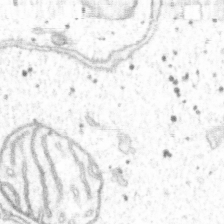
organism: Human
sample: HeLa cells